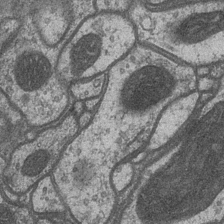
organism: Drosophila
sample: Optic medulla